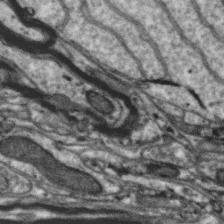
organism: Zebra finch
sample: Brain